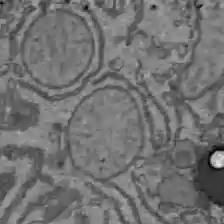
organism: C57BL Mouse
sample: Liver